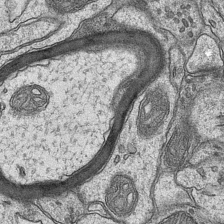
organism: Mouse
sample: CA1 Hippocampus